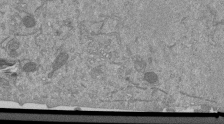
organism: Mouse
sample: ED-1 cell nuclei; centrioles